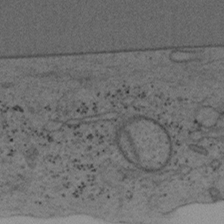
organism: Human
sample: HeLa cells